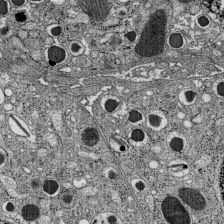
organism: C57BL Mouse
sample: Pancreatic islet